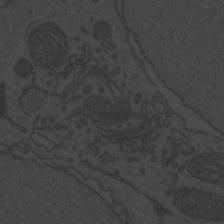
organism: Zebrafish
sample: Macrophage infected with Toxoplasma gondii